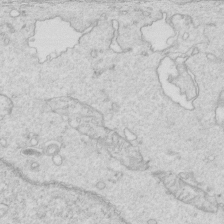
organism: Mouse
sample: Multiciliated cells